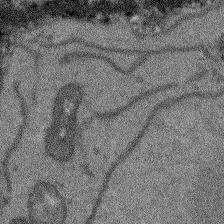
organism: Arabidopsis thaliana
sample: Root tip